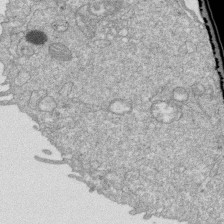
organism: Human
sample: HeLa cell HIV synapse